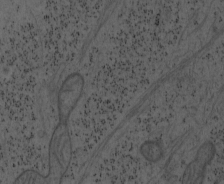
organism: Mouse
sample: OT-I killer T cells with ID8 ovarian cancer cells